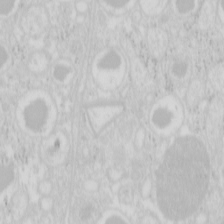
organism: Mouse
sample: Pancreas